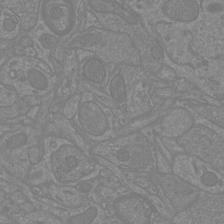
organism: Mouse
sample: Cortical neurons